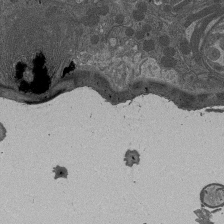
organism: Drosophila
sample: Antenna